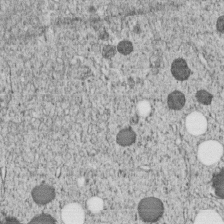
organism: C. elegans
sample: C. elegans embryo early stage